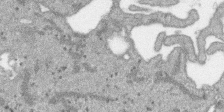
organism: Human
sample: Lung epithelial cells infected with SARS-CoV-2